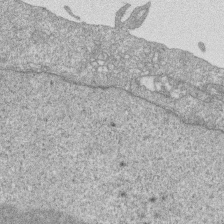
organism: Human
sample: HeLa cell HIV synapse